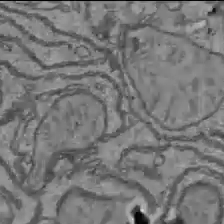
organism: C57BL Mouse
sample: Liver